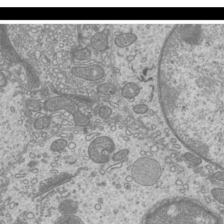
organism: Mouse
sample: Cilia; mouse epididymis